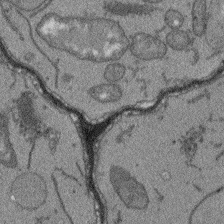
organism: Arabidopsis thaliana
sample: Root tip